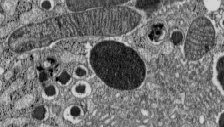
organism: C57BL Mouse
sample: Pancreatic islet